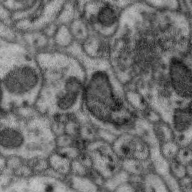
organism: Zebra finch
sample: Brain